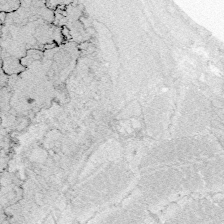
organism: Zebrafish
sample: Whole-Brain